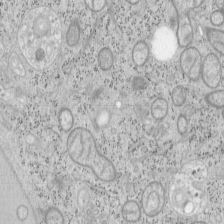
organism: Mouse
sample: OT-I killer T cells with ID8 ovarian cancer cells